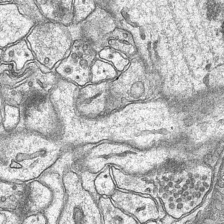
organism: Mouse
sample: CA1 Hippocampus